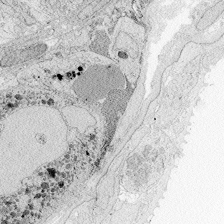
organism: Zebrafish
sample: Whole-Brain